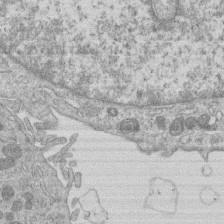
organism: Human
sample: Macrophage cells